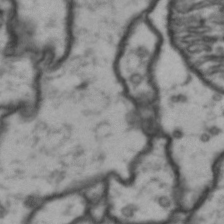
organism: Drosophila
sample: Brain